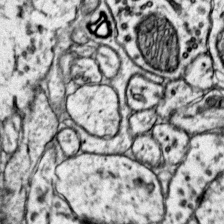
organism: Mouse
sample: Primary visual cortex